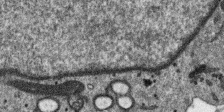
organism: Human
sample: Lung epithelial cells infected with SARS-CoV-2